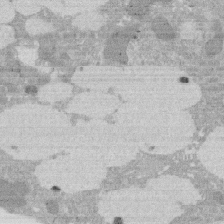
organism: Rat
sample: Salivary granule